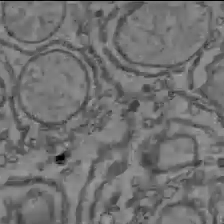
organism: C57BL Mouse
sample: Liver